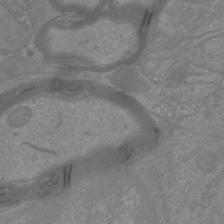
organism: Mouse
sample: Cortical neurons